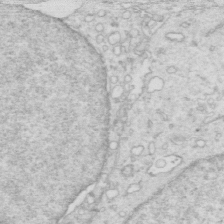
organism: Mouse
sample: Multiciliated cells